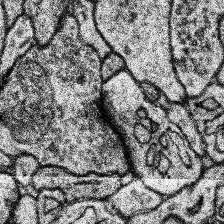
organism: Human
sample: Temporal Lobe